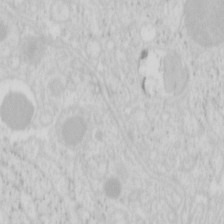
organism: Mouse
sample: Pancreas